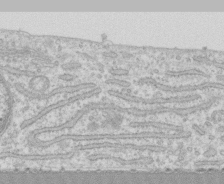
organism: Human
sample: CRL-1474